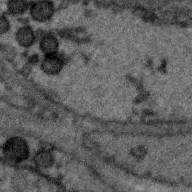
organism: Zebra finch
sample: Brain